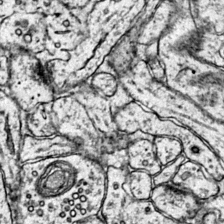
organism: Mouse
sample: Primary visual cortex